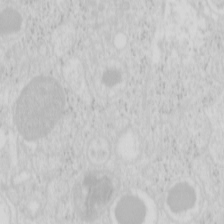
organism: Mouse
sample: Pancreas